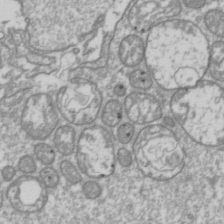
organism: Drosophila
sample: Cell division; meiosis; drosophila spermatocytes